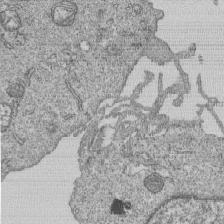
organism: Human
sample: MDA-MB-231 cells